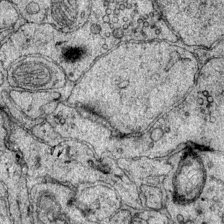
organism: Mouse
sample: Primary visual cortex